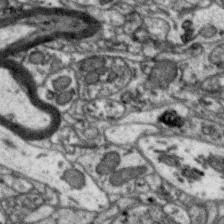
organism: Zebra finch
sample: Brain